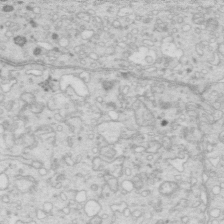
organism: Mouse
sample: Multiciliated cells